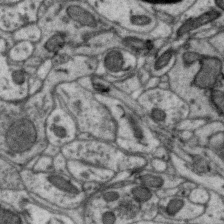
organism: Zebra finch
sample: Brain